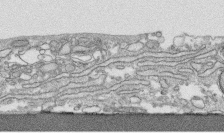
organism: Human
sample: CRL-1474